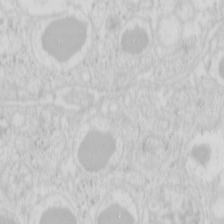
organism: Mouse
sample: Pancreas